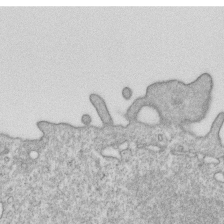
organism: Mouse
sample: Activated OT-1 CD8+ T cells